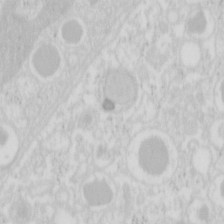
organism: Mouse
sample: Pancreas